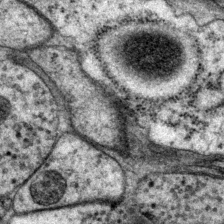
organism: P. pacificus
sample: Pharynx